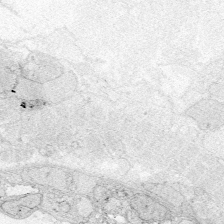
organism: Zebrafish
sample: Whole-Brain